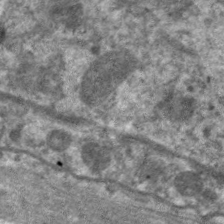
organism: C. elegans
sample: Pharynx